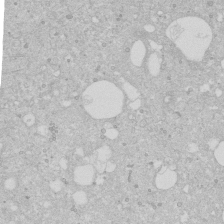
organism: Human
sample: Caco-2 cells